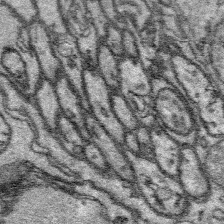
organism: Platynereis dumerilii